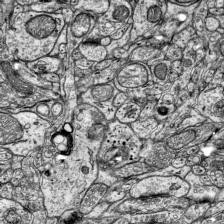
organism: Mouse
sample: Visual Cortex